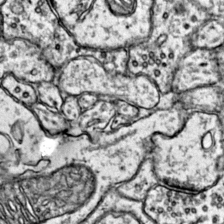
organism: Mouse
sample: Primary visual cortex